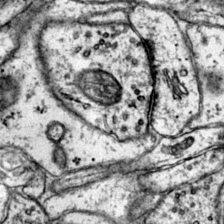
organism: Mouse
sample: Primary visual cortex